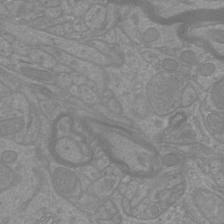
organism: Mouse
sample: Cortical neurons